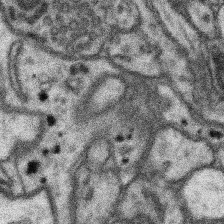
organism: Mouse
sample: Somatosensory cortex neuropil